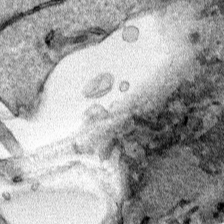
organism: Human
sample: Mitochondria in HCT116 cells